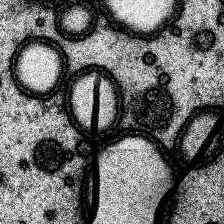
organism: Human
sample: Temporal Lobe